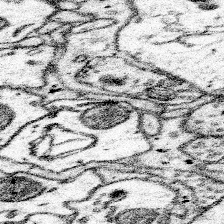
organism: Mouse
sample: Somatosensory cortex neuropil